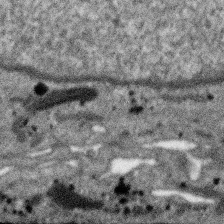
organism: Human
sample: Lung epithelial cells infected with SARS-CoV-2